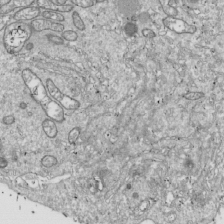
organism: Drosophila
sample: Cell division; meiosis; drosophila spermatocytes